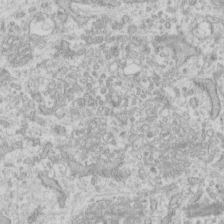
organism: Human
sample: Fibroblast cells